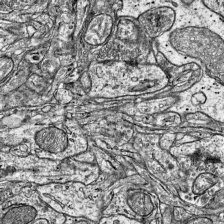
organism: Mouse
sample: Visual Cortex